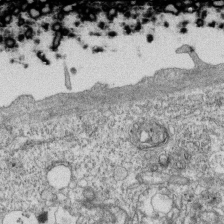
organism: Human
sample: HeLa cell HIV synapse